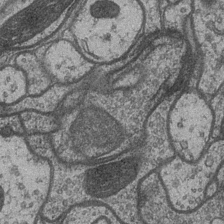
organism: Drosophila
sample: Optic medulla